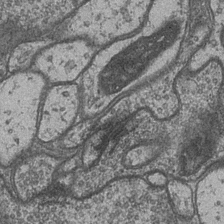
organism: Drosophila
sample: Optic medulla